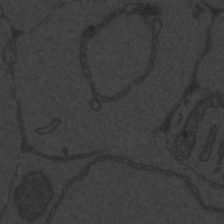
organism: Zebrafish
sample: Macrophage infected with Toxoplasma gondii